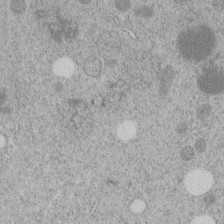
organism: C. elegans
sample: C. elegans embryo early stage